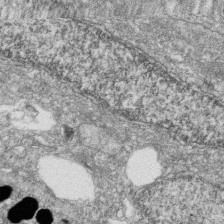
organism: Zebrafish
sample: Cilia; retinal pigment epithelium